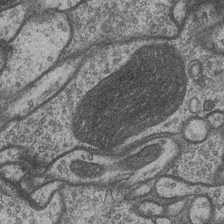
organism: Drosophila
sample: Optic medulla